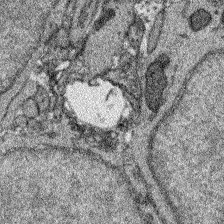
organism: Zebrafish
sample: Larval olfactory bulb